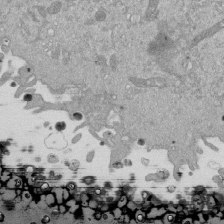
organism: Mouse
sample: ED-1 cell nuclei; centrioles